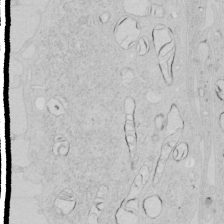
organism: Human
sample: Mitochondria in HCT116 cells